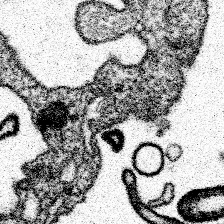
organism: Spongilla lacustris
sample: Neuroid cell